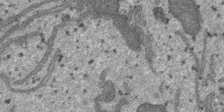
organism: Human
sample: Lung epithelial cells infected with SARS-CoV-2